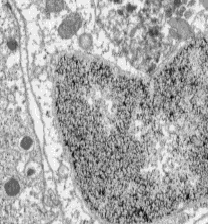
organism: C57BL Mouse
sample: Pancreatic islet